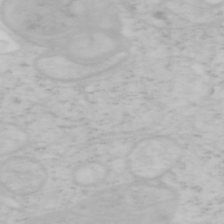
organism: Mouse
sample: OT-I killer T cells with ID8 ovarian cancer cells